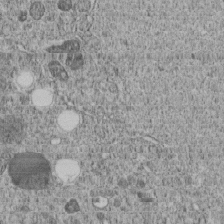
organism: C. elegans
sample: C. elegans embryo early stage